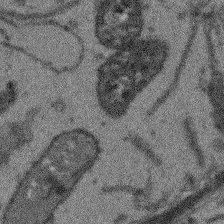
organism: Arabidopsis thaliana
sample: Root tip